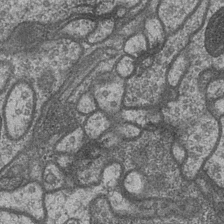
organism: Drosophila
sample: Optic medulla